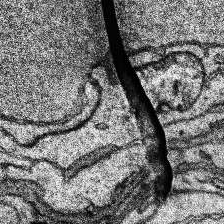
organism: Human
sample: Temporal Lobe